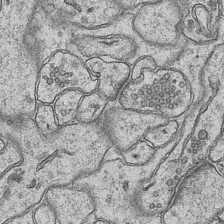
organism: Mouse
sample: CA1 Hippocampus